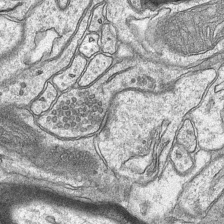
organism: Mouse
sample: CA1 Hippocampus